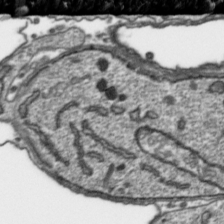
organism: Toxoplasma gondii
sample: Parasites in a vacuole inside a host cell